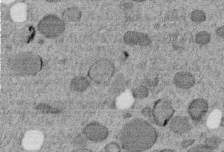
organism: C. elegans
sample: C. elegans embryo early stage